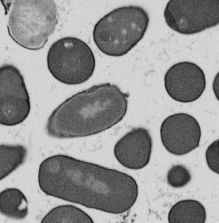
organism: B. subtilis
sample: Bacterial spore